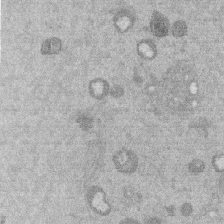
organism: Mouse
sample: Dividing mouse embryo 1 cell stage